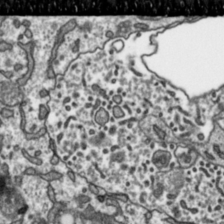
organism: Toxoplasma gondii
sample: Parasites in a vacuole inside a host cell